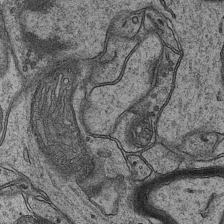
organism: Mouse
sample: CA1 Hippocampus